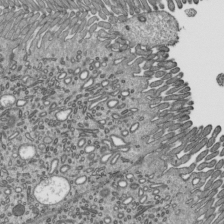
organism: Mouse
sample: Mouse epididymis efferent ductule cilia